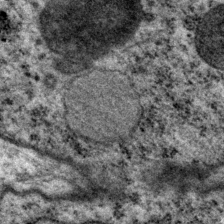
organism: P. pacificus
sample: Pharynx